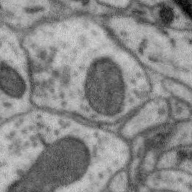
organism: Zebra finch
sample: Brain